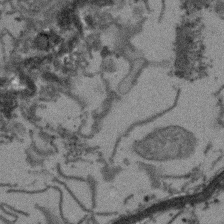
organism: Arabidopsis thaliana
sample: Root tip